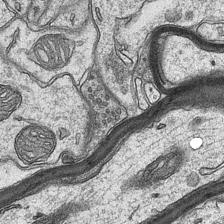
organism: Mouse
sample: CA1 Hippocampus